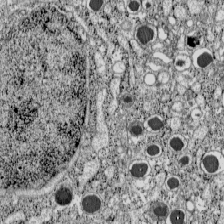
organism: C57BL Mouse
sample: Pancreatic islet